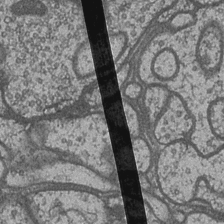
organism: Drosophila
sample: Optic medulla